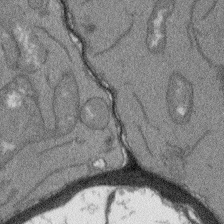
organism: Arabidopsis thaliana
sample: Root tip